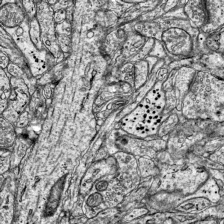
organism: Mouse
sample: Visual Cortex